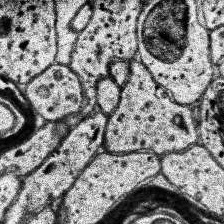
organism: Human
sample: Temporal Lobe